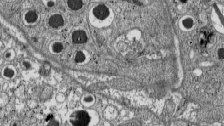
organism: C57BL Mouse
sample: Pancreatic islet